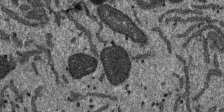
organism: Human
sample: Lung epithelial cells infected with SARS-CoV-2